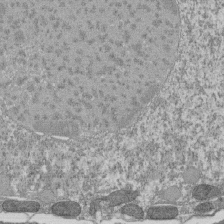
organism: Tetrahymena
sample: Cilia in tetrahymena